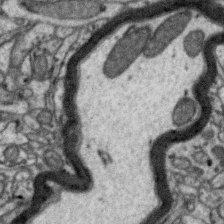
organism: Zebra finch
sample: Brain